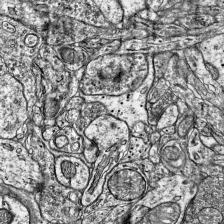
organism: Mouse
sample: Visual Cortex